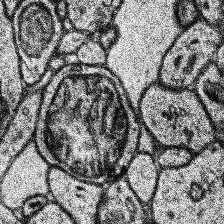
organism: Human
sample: Temporal Lobe